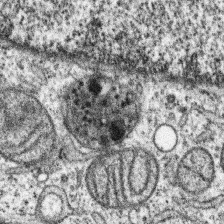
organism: Human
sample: HeLa cells